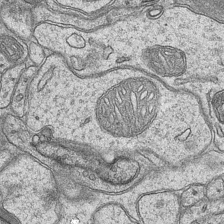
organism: Mouse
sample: CA1 Hippocampus